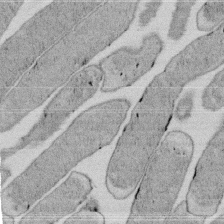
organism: E. coli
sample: Bacterial nucleoid